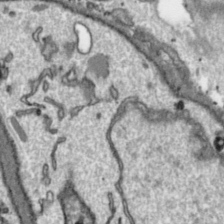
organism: Toxoplasma gondii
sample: Parasites in a vacuole inside a host cell